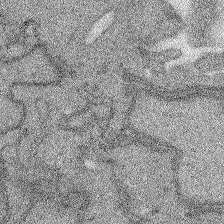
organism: Human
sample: HeLa cells